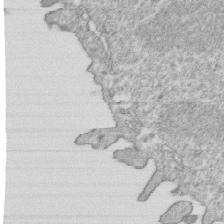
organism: Mouse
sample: Activated OT-1 CD8+ T cells